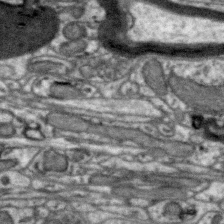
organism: Zebra finch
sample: Brain